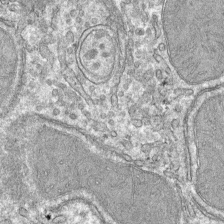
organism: Mouse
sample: Mouse hepatocytes